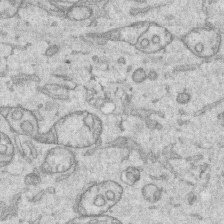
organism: Human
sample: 1205lu cells